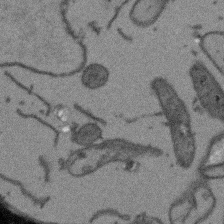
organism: Arabidopsis thaliana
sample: Root tip